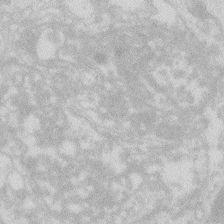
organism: Zebrafish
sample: Macrophage